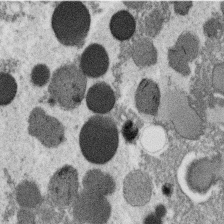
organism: C. elegans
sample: C. elegans oocyte; sperm cells